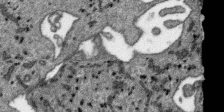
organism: Human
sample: Lung epithelial cells, uninfected (mock) control